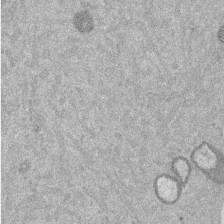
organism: Mouse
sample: Dividing mouse embryo 1 cell stage